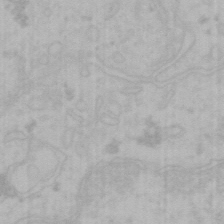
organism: Mouse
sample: Choroid plexus